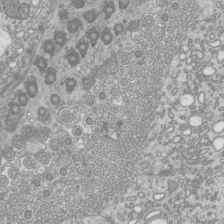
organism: Mouse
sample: Cilia; mouse epididymis